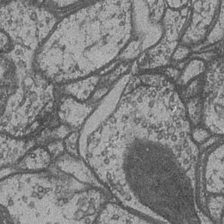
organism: Drosophila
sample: Optic medulla